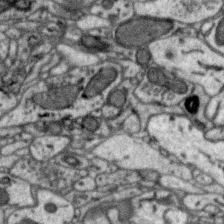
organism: Zebra finch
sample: Brain